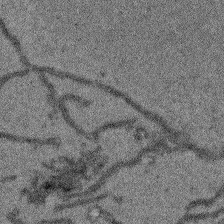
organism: Arabidopsis thaliana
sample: Root tip